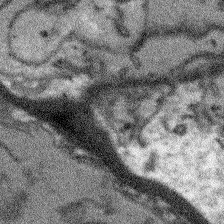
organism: Arabidopsis thaliana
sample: Root tip